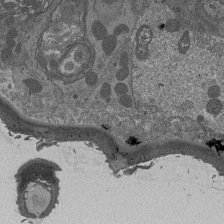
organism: Drosophila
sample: Antenna